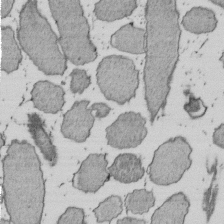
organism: E. coli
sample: Bacterial nucleoid